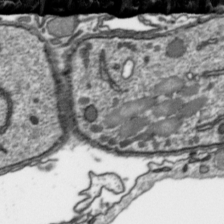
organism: Toxoplasma gondii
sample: Parasites in a vacuole inside a host cell